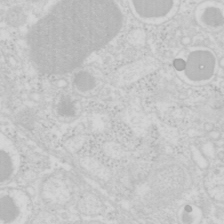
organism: Mouse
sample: Pancreas